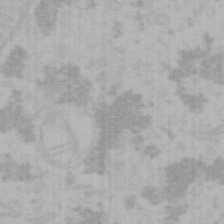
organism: Mouse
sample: Choroid plexus